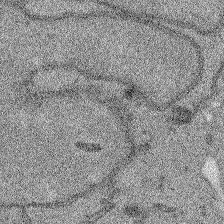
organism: Human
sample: HeLa cells